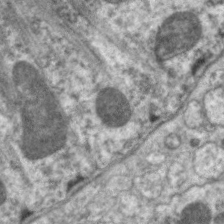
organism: C. elegans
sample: Pharynx